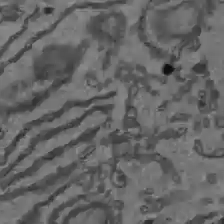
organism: C57BL Mouse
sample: Liver